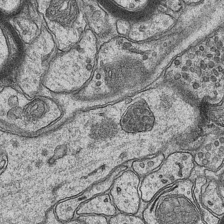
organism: Mouse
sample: CA1 Hippocampus